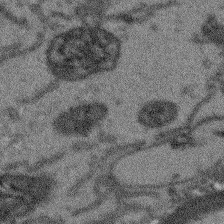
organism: Arabidopsis thaliana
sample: Root tip